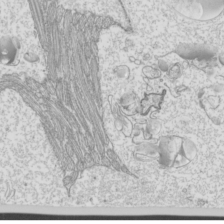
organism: Mouse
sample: Cilia; mouse epididymis